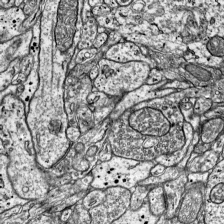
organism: Mouse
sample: Visual Cortex